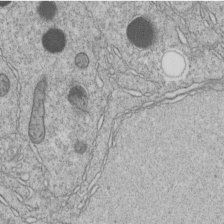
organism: C. elegans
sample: C. elegans embryo early stage